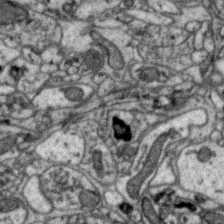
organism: Zebra finch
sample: Brain